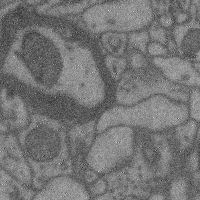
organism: Mouse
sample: Cerebral cortex